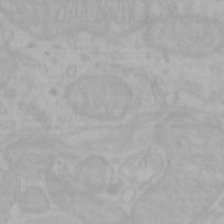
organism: Mouse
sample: Choroid plexus